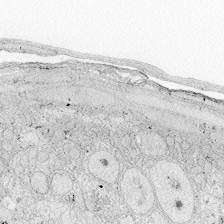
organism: Zebrafish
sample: Whole-Brain